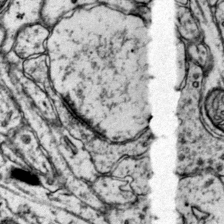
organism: Mouse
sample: Primary visual cortex